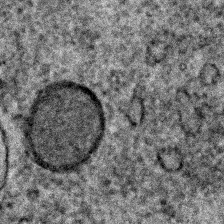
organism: C. elegans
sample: C. elegans embryo